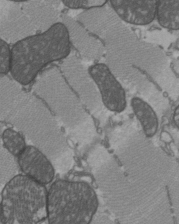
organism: C57BL Mouse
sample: Heart